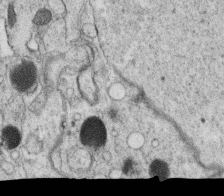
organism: C. elegans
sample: C. elegans oocyte; sperm cells